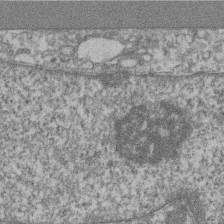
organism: Mouse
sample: T cell stromal cell synapse